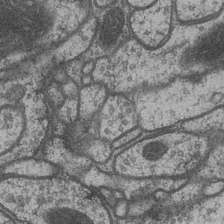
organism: Drosophila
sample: Optic medulla